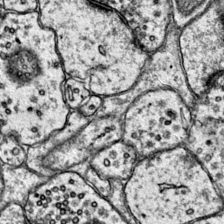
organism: Mouse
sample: Primary visual cortex